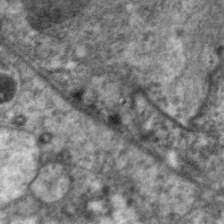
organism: C. elegans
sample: Pharynx